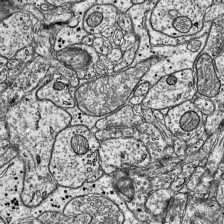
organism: Mouse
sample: Visual Cortex